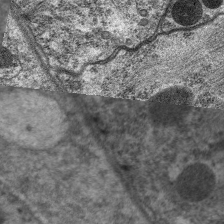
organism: C. elegans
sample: Pharynx